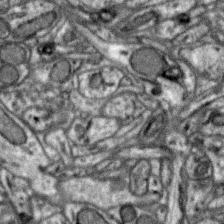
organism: Zebra finch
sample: Brain